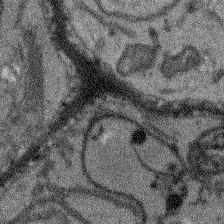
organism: Arabidopsis thaliana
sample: Root tip